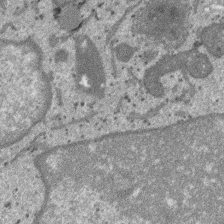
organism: Human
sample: Lung epithelial cells infected with SARS-CoV-2